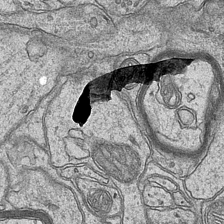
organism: Mouse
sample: CA1 Hippocampus